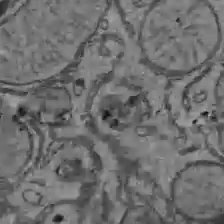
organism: C57BL Mouse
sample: Liver